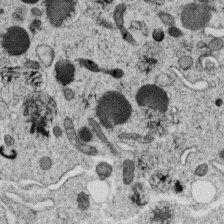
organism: C. elegans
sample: C. elegans oocyte; sperm cells